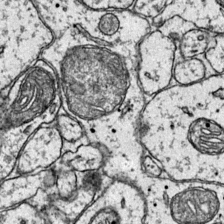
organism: Mouse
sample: Primary visual cortex